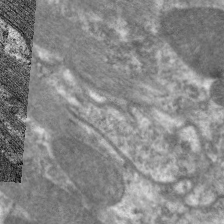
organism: C. elegans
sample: Pharynx